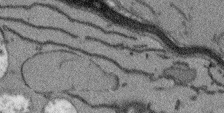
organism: Arabidopsis thaliana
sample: Root tip